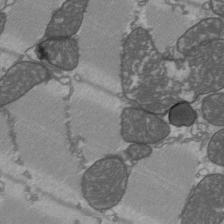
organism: C57BL Mouse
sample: Heart